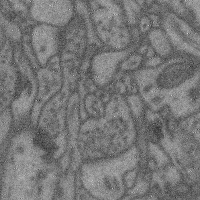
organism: Mouse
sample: Cerebral cortex